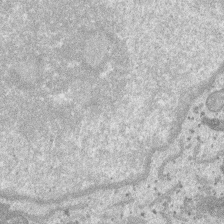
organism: Human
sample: Lung epithelial cells infected with SARS-CoV-2